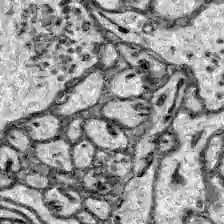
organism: Zebrafish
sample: Brain